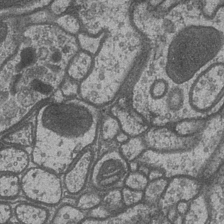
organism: Drosophila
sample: Optic medulla